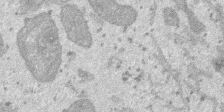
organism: Human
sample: Lung epithelial cells infected with SARS-CoV-2